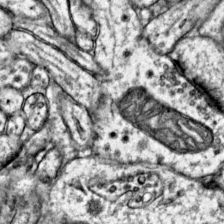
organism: Mouse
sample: Primary visual cortex